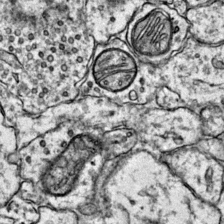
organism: Mouse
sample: Primary visual cortex